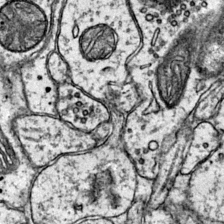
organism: Mouse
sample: Primary visual cortex